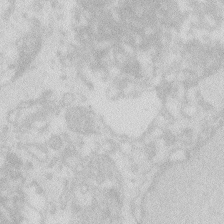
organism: Zebrafish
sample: Macrophage